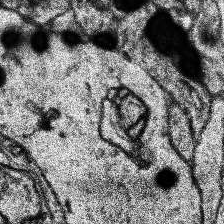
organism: Human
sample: Temporal Lobe